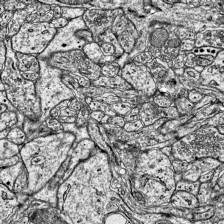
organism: Mouse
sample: Visual Cortex